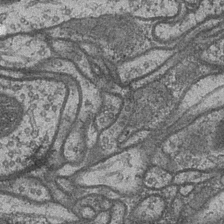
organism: Drosophila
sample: Optic medulla